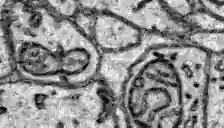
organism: Zebrafish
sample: Brain